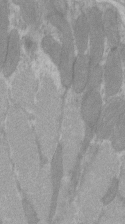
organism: C57BL Mouse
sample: Tibialis anterior muscle cell